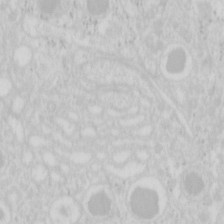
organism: Mouse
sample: Pancreas